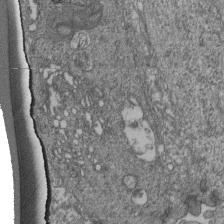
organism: Human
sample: Retinal organoid Rod and Cone cells